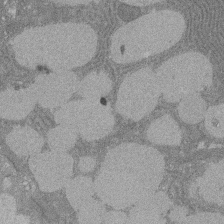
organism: Rat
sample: Salivary granule